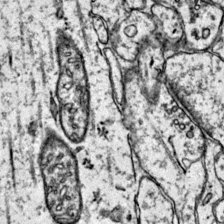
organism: Mouse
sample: Primary visual cortex